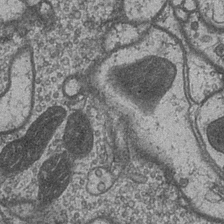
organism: Drosophila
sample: Optic medulla